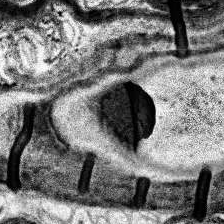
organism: Human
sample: Temporal Lobe